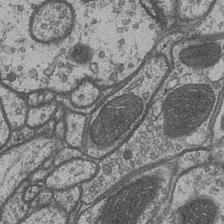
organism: Drosophila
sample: Optic medulla